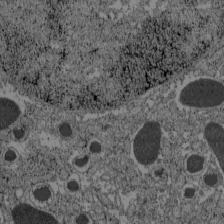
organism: C57BL Mouse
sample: Pancreatic islet